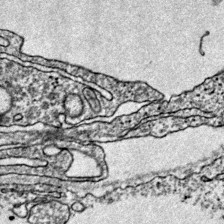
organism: Mouse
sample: Primary visual cortex